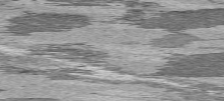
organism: C57BL Mouse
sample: Heart